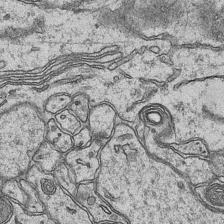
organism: Mouse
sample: CA1 Hippocampus